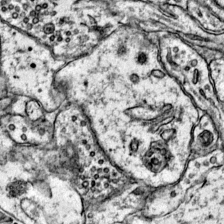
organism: Mouse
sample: Primary visual cortex